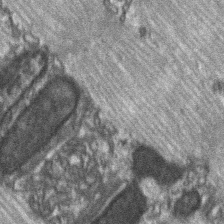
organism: C57BL Mouse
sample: Soleus